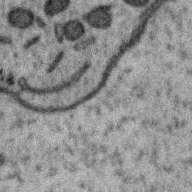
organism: Zebra finch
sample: Brain